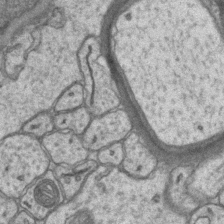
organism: Mouse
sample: CA1 Hippocampus